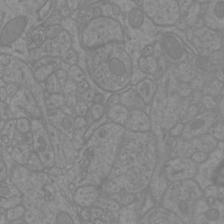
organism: Mouse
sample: Cortical neurons